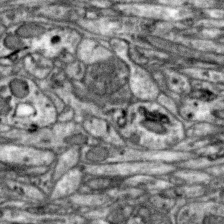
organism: Zebra finch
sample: Brain